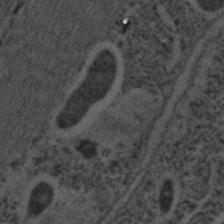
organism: C. elegans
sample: C. elegans embryo